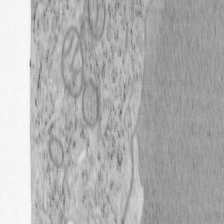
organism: Human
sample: HeLa cells